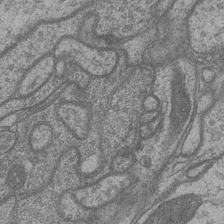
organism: Drosophila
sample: Optic medulla